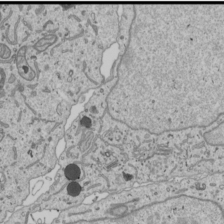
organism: Human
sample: Mitochondria in U2OS cells